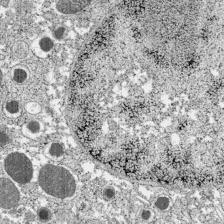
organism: C57BL Mouse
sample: Pancreatic islet